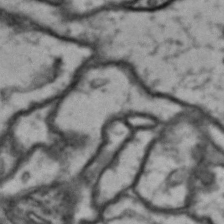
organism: Drosophila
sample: Brain